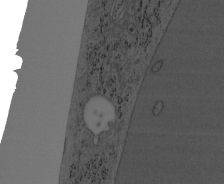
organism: Mouse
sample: OT-I killer T cells with ID8 ovarian cancer cells